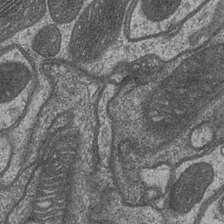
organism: Drosophila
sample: Optic medulla